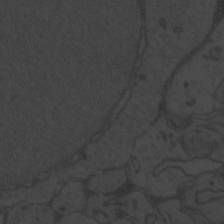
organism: Zebrafish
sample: Macrophage infected with Toxoplasma gondii